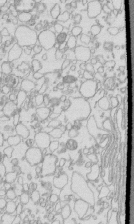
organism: Mouse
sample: Macrophages